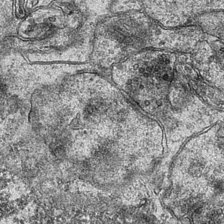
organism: Mouse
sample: CA1 Hippocampus